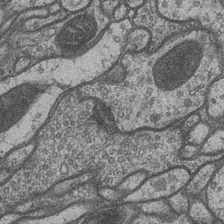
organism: Drosophila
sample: Optic medulla